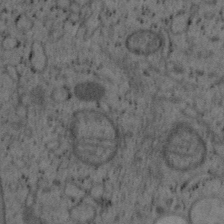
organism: Human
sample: HeLa cells